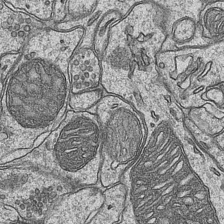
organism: Mouse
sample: CA1 Hippocampus